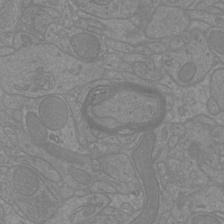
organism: Mouse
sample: Cortical neurons